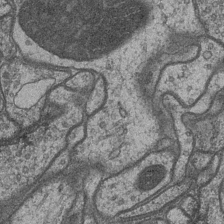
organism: Drosophila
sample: Optic medulla